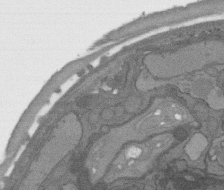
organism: C. elegans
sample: AFD neurons C. elegans